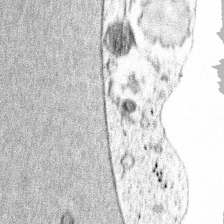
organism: Human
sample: HeLa cells